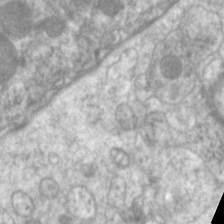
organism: C. elegans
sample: Pharynx